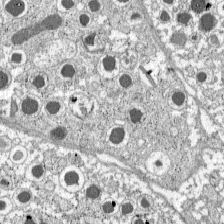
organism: C57BL Mouse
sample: Pancreatic islet